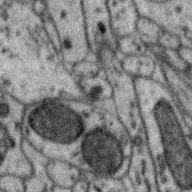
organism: Zebra finch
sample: Brain